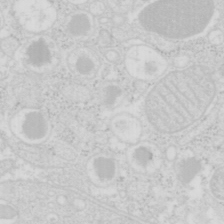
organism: Mouse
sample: Pancreas